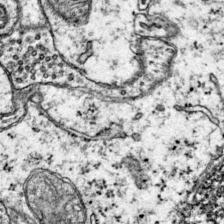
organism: Mouse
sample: Primary visual cortex